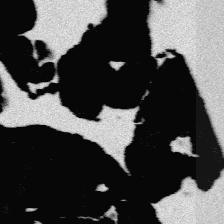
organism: Platynereis dumerilii